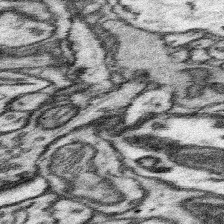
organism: Mouse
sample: Somatosensory cortex neuropil